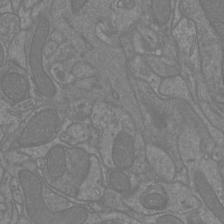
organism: Mouse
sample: Cortical neurons